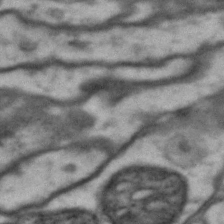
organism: Drosophila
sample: Brain